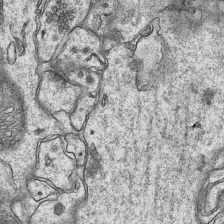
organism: Mouse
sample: CA1 Hippocampus